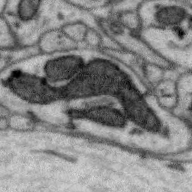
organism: Zebra finch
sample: Brain